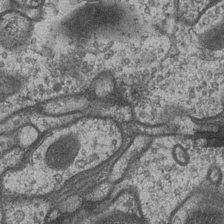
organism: Drosophila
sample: Optic medulla